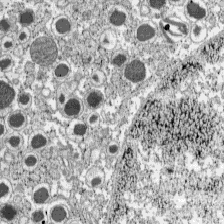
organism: C57BL Mouse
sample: Pancreatic islet